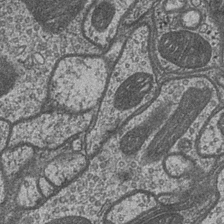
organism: Drosophila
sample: Optic medulla